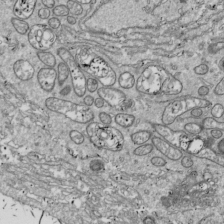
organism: Drosophila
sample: Cell division; meiosis; drosophila spermatocytes